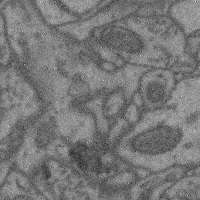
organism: Mouse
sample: Cerebral cortex